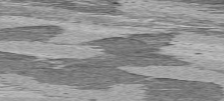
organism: C57BL Mouse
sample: Heart